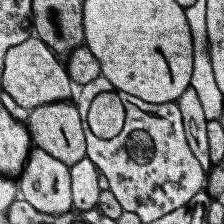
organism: Human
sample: Temporal Lobe